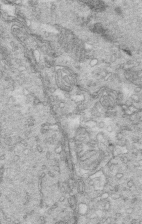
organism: Mouse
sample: Multiciliated cells